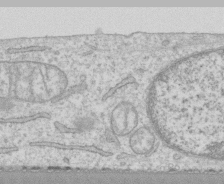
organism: Human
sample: CRL-1474